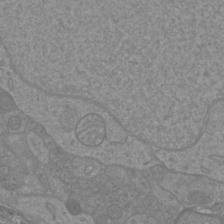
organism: Mouse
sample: Cortical neurons